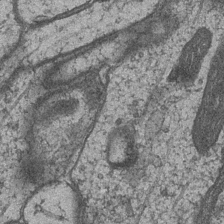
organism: Drosophila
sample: Optic medulla